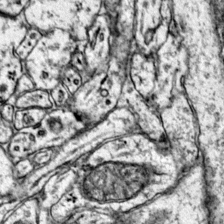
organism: Mouse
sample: Primary visual cortex